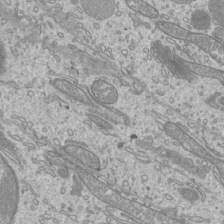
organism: Mouse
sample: Cilia; mouse epididymis